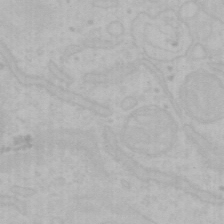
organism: Mouse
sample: Choroid plexus